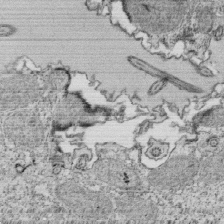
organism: Tetrahymena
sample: Cilia in tetrahymena